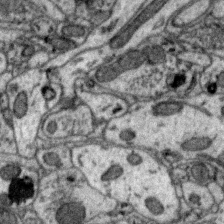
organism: Zebra finch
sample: Brain